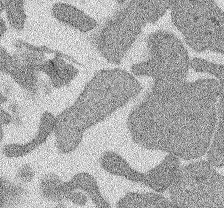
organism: Human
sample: HeLa cells